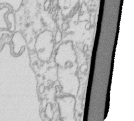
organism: Mouse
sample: Macrophages